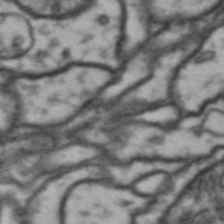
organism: Drosophila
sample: Brain